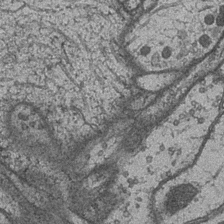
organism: Drosophila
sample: Optic medulla